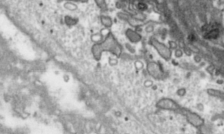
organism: Toxoplasma gondii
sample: Parasites in a vacuole inside a host cell